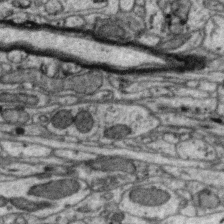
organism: Zebra finch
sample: Brain